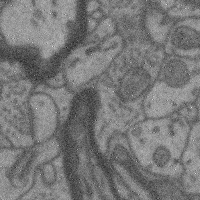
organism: Mouse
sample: Cerebral cortex